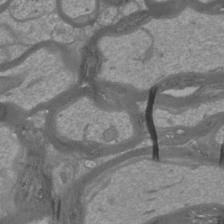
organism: Mouse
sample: Cortical neurons